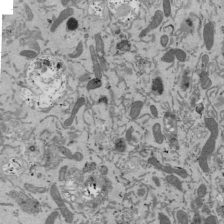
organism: Mouse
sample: ED-1 cell nuclei; centrioles